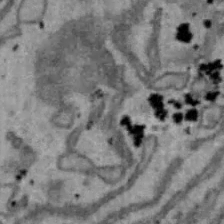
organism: Mouse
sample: Liver